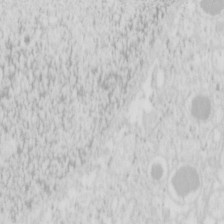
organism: Mouse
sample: Pancreas